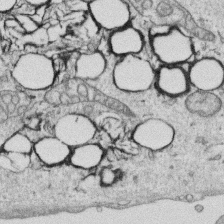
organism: Human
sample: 1205lu cells